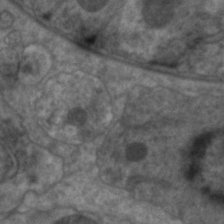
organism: C. elegans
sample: Pharynx